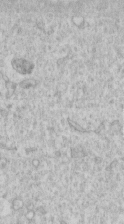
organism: Human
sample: Centriole in RPE cells